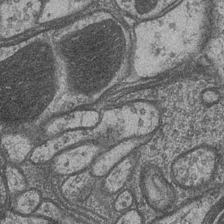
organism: Drosophila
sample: Optic medulla